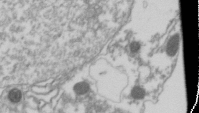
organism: Drosophila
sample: Cell division; meiosis; drosophila spermatocytes